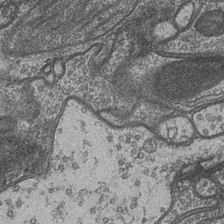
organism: Drosophila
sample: Optic medulla